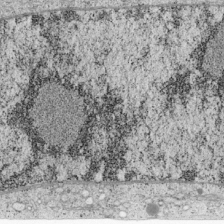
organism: African green monkey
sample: COS-7 cells